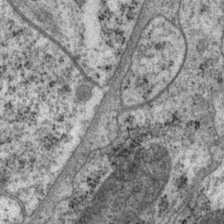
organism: P. pacificus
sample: Pharynx